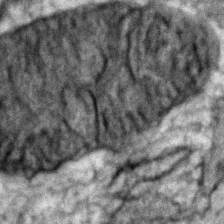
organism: Zebrafish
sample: Zebrafish embryo